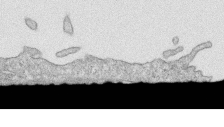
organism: Human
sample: HeLa cell HIV synapse